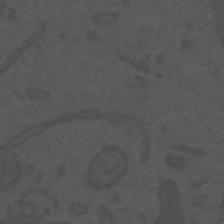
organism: Mouse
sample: Suprachiasmatic nucleus